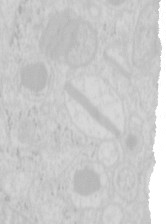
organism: Mouse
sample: Pancreas